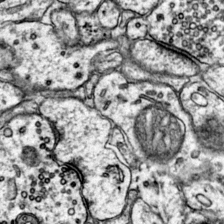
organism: Mouse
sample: Primary visual cortex